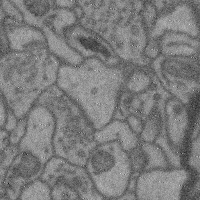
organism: Mouse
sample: Cerebral cortex